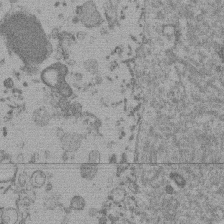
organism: Mouse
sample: Dividing mouse embryo 1 cell stage